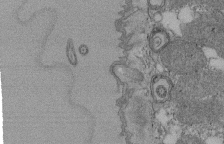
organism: Tetrahymena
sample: Cilia in tetrahymena